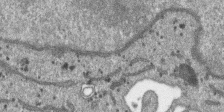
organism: Human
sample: Lung epithelial cells infected with SARS-CoV-2